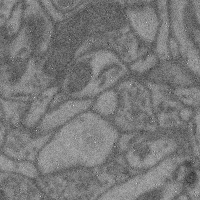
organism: Mouse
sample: Cerebral cortex